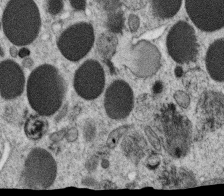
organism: C. elegans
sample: C. elegans oocyte; sperm cells